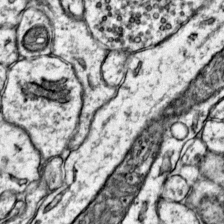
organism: Mouse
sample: Primary visual cortex